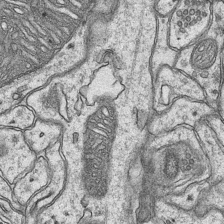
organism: Mouse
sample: CA1 Hippocampus